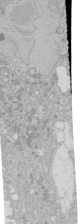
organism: Human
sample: Caco-2 cells